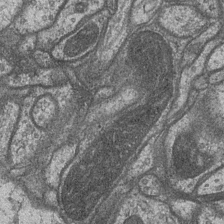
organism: Drosophila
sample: Optic medulla